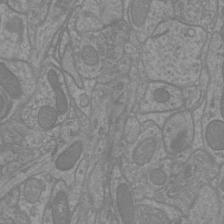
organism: Mouse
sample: Cortical neurons